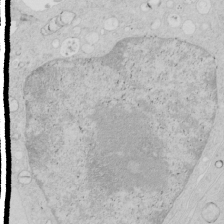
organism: Human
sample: Mitochondria in HCT116 cells